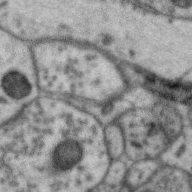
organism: Zebra finch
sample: Brain